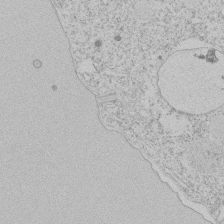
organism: Tetrahymena